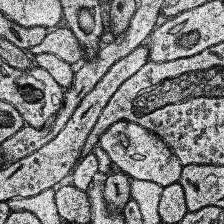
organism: Human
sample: Temporal Lobe